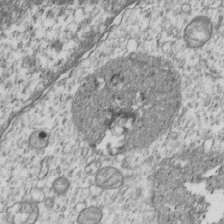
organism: Human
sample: MDA-MB-231 cells